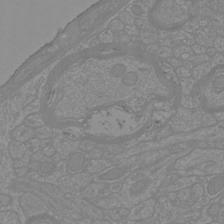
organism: Mouse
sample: Cortical neurons